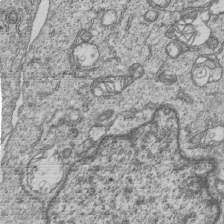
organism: Human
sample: MDA-MB-231 cells